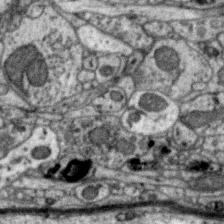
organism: Zebra finch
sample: Brain